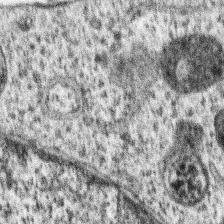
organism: Human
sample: HeLa cells